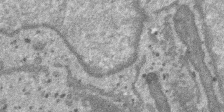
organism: Human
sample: Lung epithelial cells infected with SARS-CoV-2